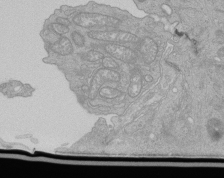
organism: Human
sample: Retinal organoid Rod and Cone cells